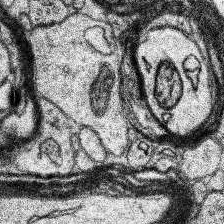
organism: Human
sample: Temporal Lobe